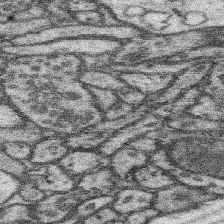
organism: Mouse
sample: Somatosensory cortex neuropil